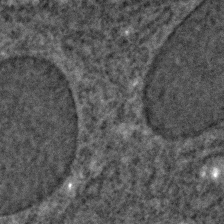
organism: C. elegans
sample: C. elegans embryo